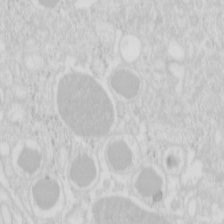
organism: Mouse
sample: Pancreas